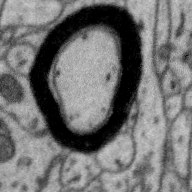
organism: Zebra finch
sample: Brain